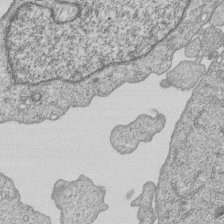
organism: Human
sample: MDA-MB-231 cells